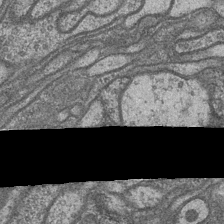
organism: Drosophila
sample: Optic medulla